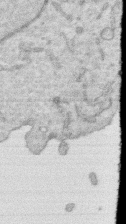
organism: Human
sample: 1205lu cells